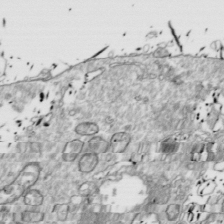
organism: Drosophila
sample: Cell division; meiosis; drosophila spermatocytes